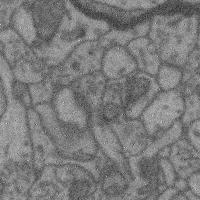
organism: Mouse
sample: Cerebral cortex